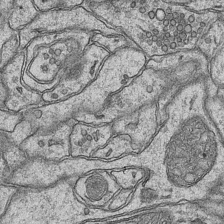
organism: Mouse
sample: CA1 Hippocampus